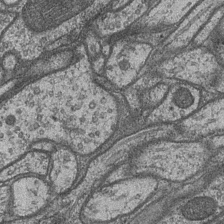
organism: Drosophila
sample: Optic medulla